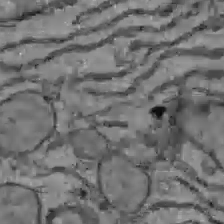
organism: C57BL Mouse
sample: Liver